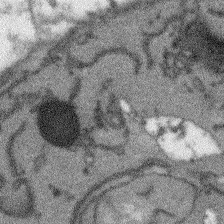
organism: Arabidopsis thaliana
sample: Root tip